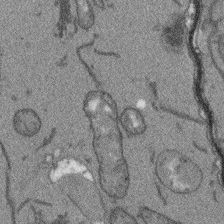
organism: Arabidopsis thaliana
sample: Root tip